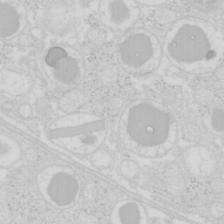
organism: Mouse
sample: Pancreas